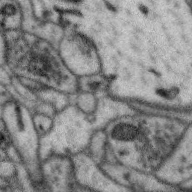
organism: Zebra finch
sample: Brain